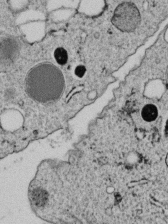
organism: C. elegans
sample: C. elegans embryo early stage